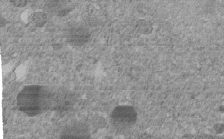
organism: C. elegans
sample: C. elegans embryo early stage